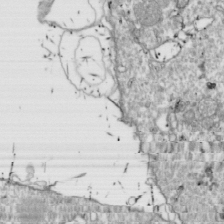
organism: Drosophila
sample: Cell division; meiosis; drosophila spermatocytes